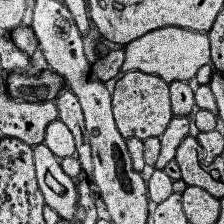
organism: Human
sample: Temporal Lobe